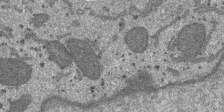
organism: Human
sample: Lung epithelial cells infected with SARS-CoV-2